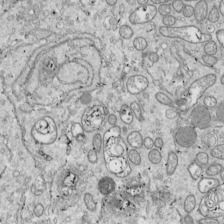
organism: Drosophila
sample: Cell division; meiosis; drosophila spermatocytes